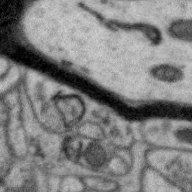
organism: Zebra finch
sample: Brain